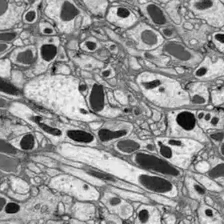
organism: Drosophila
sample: Optic lobe